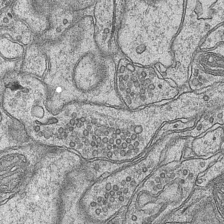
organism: Mouse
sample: CA1 Hippocampus